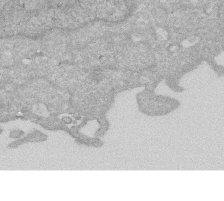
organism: Human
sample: HIV infected U937 cells